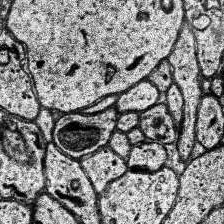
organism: Human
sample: Temporal Lobe